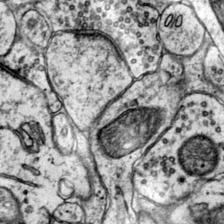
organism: Mouse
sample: Primary visual cortex